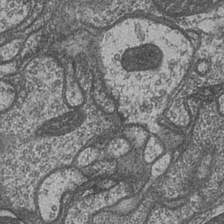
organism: Drosophila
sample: Optic medulla